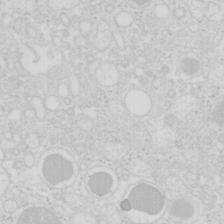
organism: Mouse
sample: Pancreas